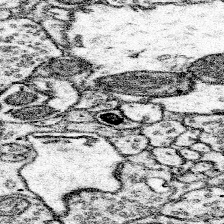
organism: Mouse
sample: Somatosensory cortex neuropil